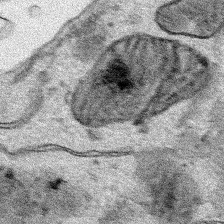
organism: Human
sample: Mitochondria in HCT116 cells